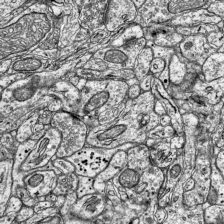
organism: Mouse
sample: Visual Cortex